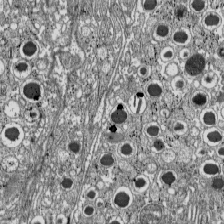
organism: C57BL Mouse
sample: Pancreatic islet